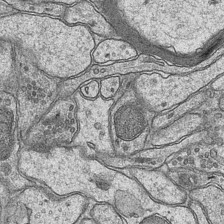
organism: Mouse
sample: CA1 Hippocampus